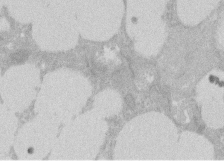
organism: Rat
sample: Salivary granule